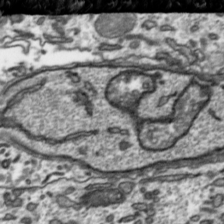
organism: Toxoplasma gondii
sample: Parasites in a vacuole inside a host cell